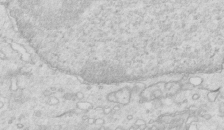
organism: Mouse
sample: Multiciliated cells